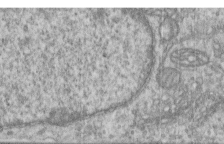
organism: Human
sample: Centriole in RPE cells